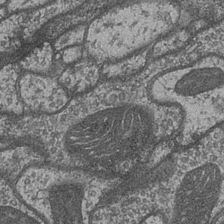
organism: Drosophila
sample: Optic medulla